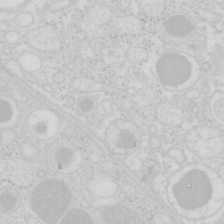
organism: Mouse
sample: Pancreas